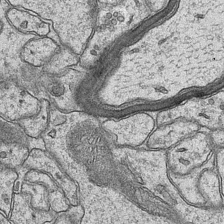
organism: Mouse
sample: CA1 Hippocampus